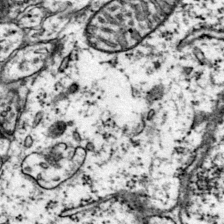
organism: Mouse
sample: Primary visual cortex